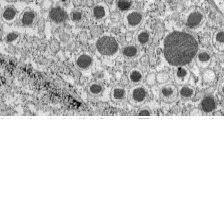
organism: C57BL Mouse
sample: Pancreatic islet